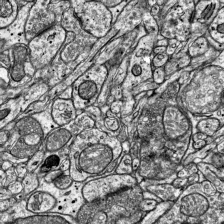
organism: Mouse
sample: Visual Cortex